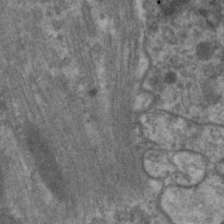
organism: C. elegans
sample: Pharynx